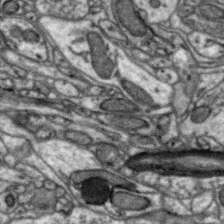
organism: Zebra finch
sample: Brain